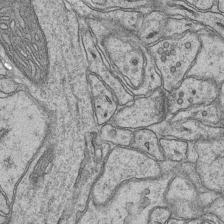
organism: Mouse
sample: CA1 Hippocampus